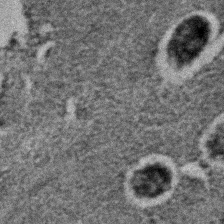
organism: C. elegans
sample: C. elegans embryo